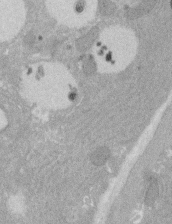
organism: Rat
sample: Salivary granule